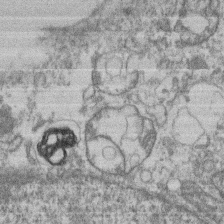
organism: Mouse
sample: T cell stromal cell synapse